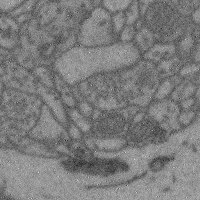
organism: Mouse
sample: Cerebral cortex